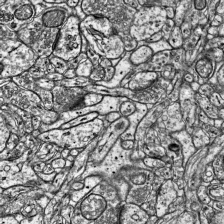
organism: Mouse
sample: Visual Cortex